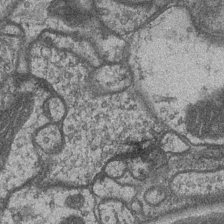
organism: Drosophila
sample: Optic medulla